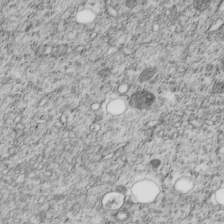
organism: C. elegans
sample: C. elegans embryo early stage